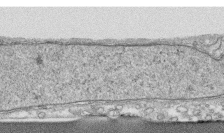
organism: Human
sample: CRL-1474